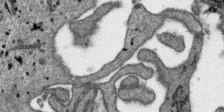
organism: Human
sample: Lung epithelial cells, uninfected (mock) control